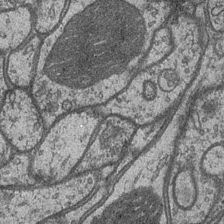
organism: Drosophila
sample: Optic medulla